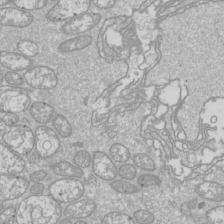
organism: Drosophila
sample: Cell division; meiosis; drosophila spermatocytes